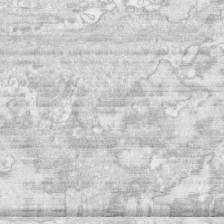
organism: Human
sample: CRL-1474